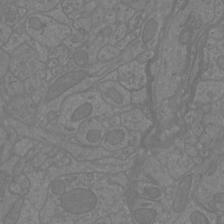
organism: Mouse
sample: Cortical neurons